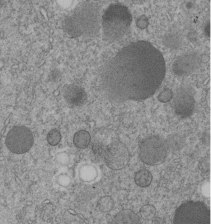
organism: C. elegans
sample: C. elegans embryo early stage